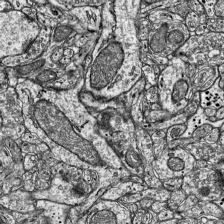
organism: Mouse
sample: Visual Cortex